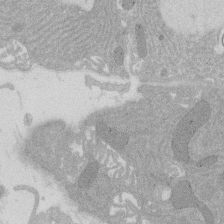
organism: Rat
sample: Salivary granule